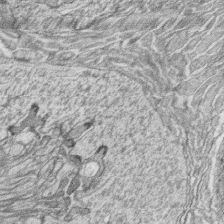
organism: Zebrafish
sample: synaptic ribbons in rod cells and cone cells